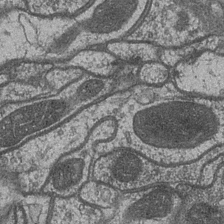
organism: Drosophila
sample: Optic medulla